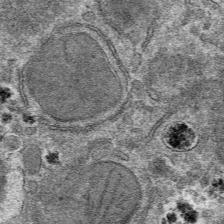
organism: Mouse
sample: Mouse hepatocytes